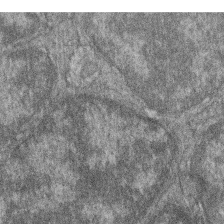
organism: Zebrafish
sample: Cilia; retinal pigment epithelium